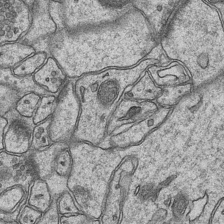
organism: Mouse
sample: CA1 Hippocampus